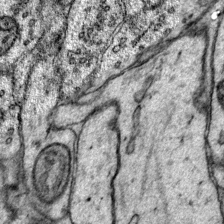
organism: Mouse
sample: Primary visual cortex